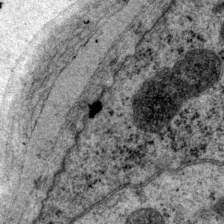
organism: P. pacificus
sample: Pharynx